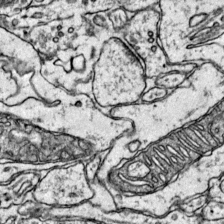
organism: Mouse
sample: Primary visual cortex